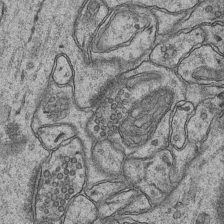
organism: Mouse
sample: CA1 Hippocampus